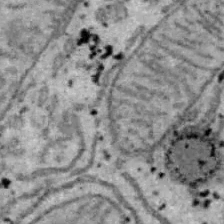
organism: Mouse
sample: Liver from an obese (ob/ob) mouse